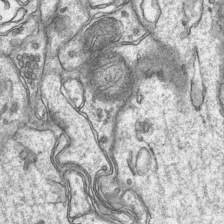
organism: Mouse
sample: CA1 Hippocampus